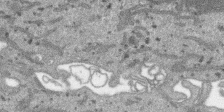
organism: Human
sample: Lung epithelial cells infected with SARS-CoV-2